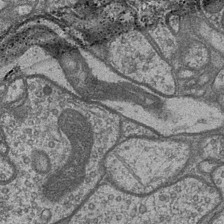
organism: Drosophila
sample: Optic medulla